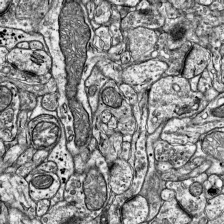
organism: Mouse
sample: Visual Cortex